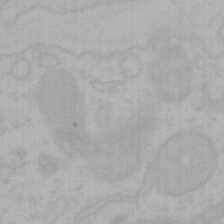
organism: Mouse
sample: Choroid plexus